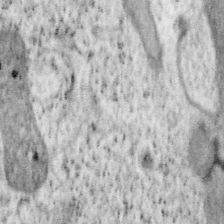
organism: Mouse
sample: OT-I killer T cells with ID8 ovarian cancer cells